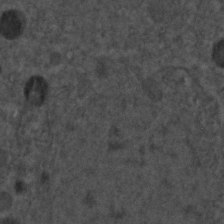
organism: C. elegans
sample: C. elegans embryo